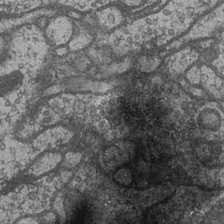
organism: Drosophila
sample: Optic medulla